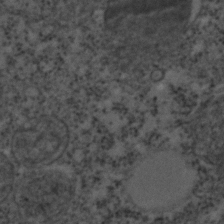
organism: C. elegans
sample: C. elegans embryo